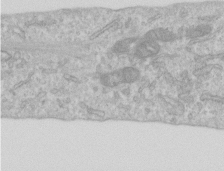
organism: Human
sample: Centriole in RPE cells